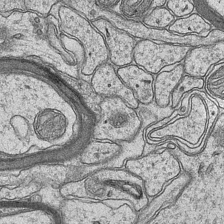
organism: Mouse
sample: CA1 Hippocampus